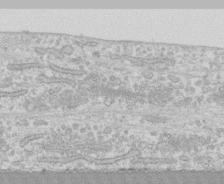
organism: Human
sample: CRL-1474